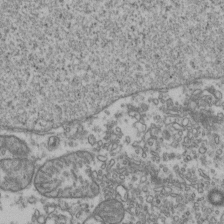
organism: Human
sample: Activated Jurkat CD4+ T cells